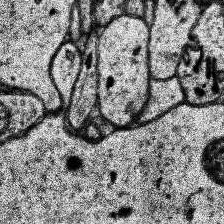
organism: Human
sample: Temporal Lobe